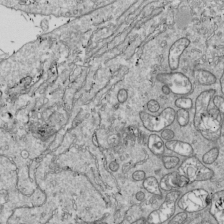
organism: Drosophila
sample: Cell division; meiosis; drosophila spermatocytes